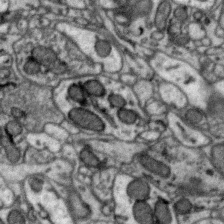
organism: Zebra finch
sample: Brain